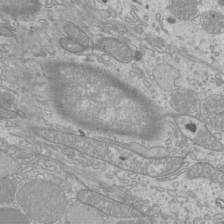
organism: Mouse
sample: Cilia; mouse epididymis